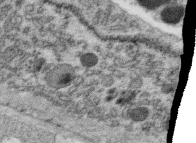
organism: C. elegans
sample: C. elegans oocyte; sperm cells